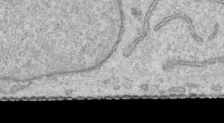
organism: Human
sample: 1205lu cells